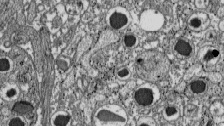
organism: C57BL Mouse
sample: Pancreatic islet